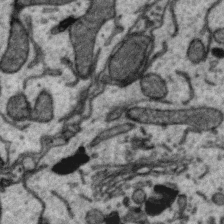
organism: Zebra finch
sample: Brain